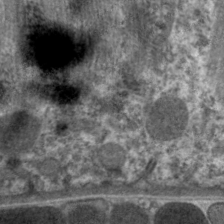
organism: C. elegans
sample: Pharynx